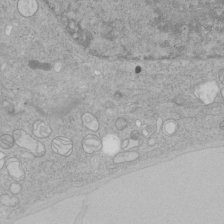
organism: Human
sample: Mitochondria in HCT116 cells